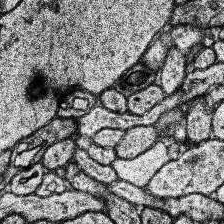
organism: Human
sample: Temporal Lobe